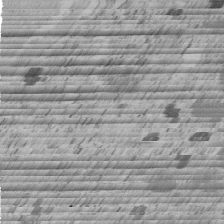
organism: C. elegans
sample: C. elegans embryo early stage